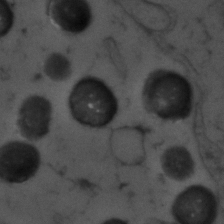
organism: Zebrafish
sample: Zebrafish embryo